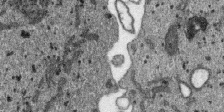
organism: Human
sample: Lung epithelial cells infected with SARS-CoV-2